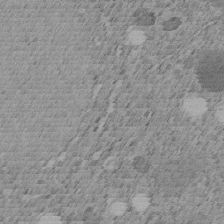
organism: C. elegans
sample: C. elegans embryo early stage